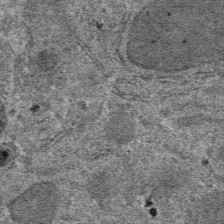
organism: Mouse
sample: Mouse hepatocytes